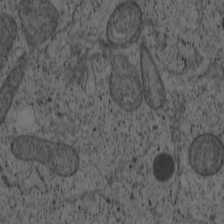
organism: African green monkey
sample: COS-7 cells